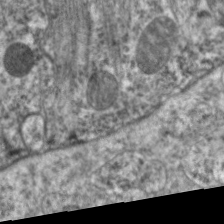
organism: C. elegans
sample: Pharynx